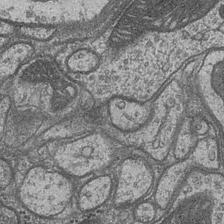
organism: Drosophila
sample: Optic medulla